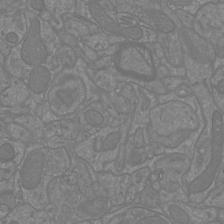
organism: Mouse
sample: Cortical neurons